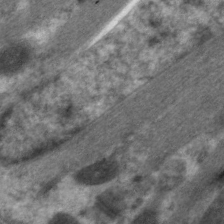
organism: C. elegans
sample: Pharynx